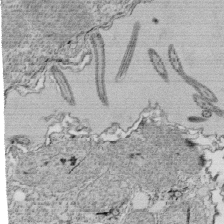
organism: Tetrahymena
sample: Cilia in tetrahymena